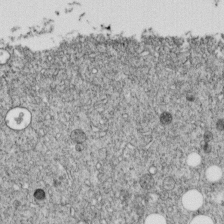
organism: C. elegans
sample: C. elegans embryo early stage